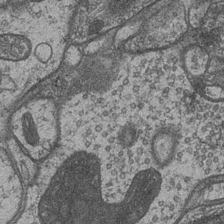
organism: Drosophila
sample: Optic medulla